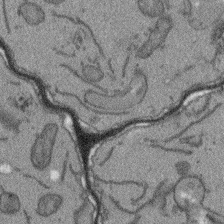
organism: Arabidopsis thaliana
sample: Root tip